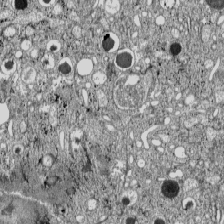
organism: C57BL Mouse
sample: Pancreatic islet